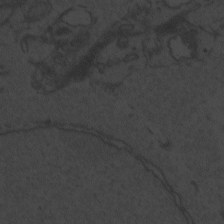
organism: Zebrafish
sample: Macrophage infected with Toxoplasma gondii